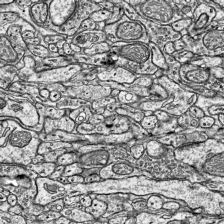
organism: Mouse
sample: Visual Cortex